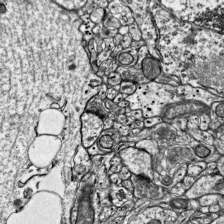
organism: Mouse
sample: Visual Cortex